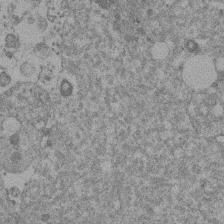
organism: Mouse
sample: Dividing mouse embryo 1 cell stage